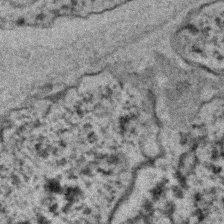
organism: C. elegans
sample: C. elegans embryo